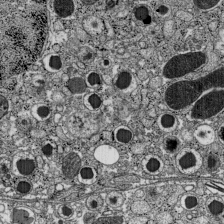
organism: C57BL Mouse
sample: Pancreatic islet